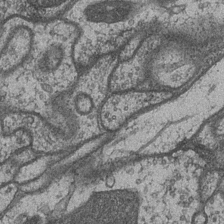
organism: Drosophila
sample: Optic medulla